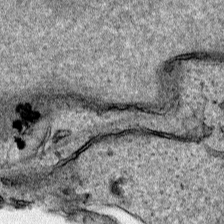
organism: Human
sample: Mitochondria in HCT116 cells